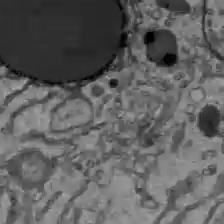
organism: C57BL Mouse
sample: Liver